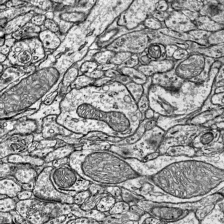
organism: Mouse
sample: Visual Cortex